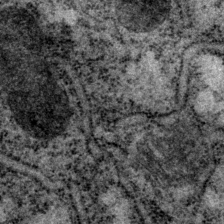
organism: P. pacificus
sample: Pharynx